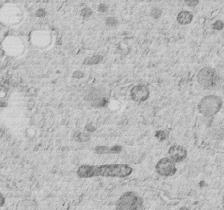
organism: C. elegans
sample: C. elegans embryo early stage